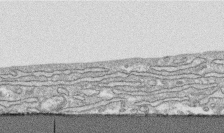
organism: Human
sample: CRL-1474